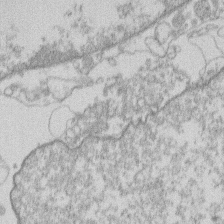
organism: Human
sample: Macrophage cells